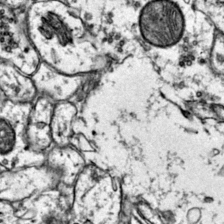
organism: Mouse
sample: Primary visual cortex